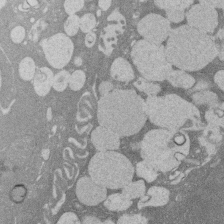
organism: Rat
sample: Salivary granule